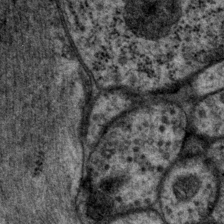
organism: P. pacificus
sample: Pharynx